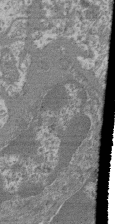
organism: Mouse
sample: Glomerulus